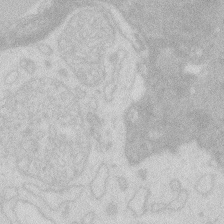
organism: Zebrafish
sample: Macrophage